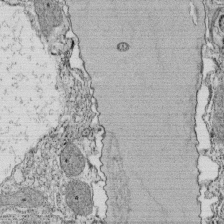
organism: Tetrahymena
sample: Cilia in tetrahymena